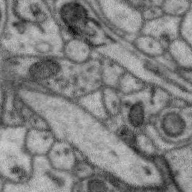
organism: Zebra finch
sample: Brain